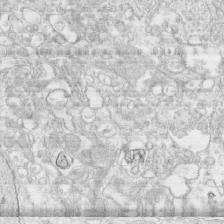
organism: Human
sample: CRL-1474